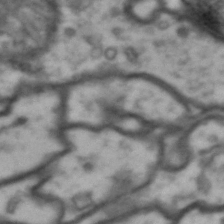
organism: Drosophila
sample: Brain